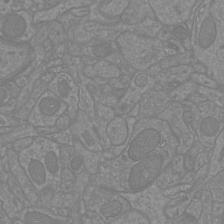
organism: Mouse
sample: Cortical neurons